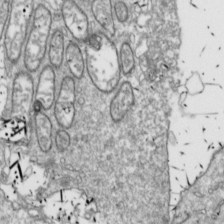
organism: Drosophila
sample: Cell division; meiosis; drosophila spermatocytes